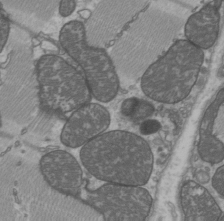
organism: C57BL Mouse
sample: Heart